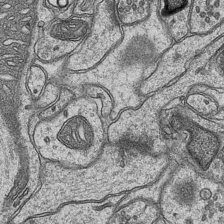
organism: Mouse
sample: CA1 Hippocampus